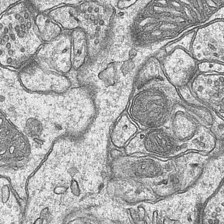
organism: Mouse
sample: CA1 Hippocampus